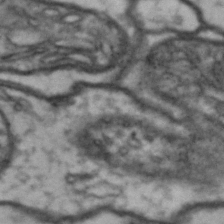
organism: Drosophila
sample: Brain